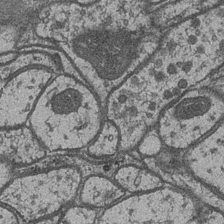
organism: Drosophila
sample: Optic medulla